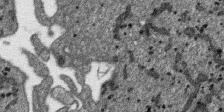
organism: Human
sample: Lung epithelial cells infected with SARS-CoV-2